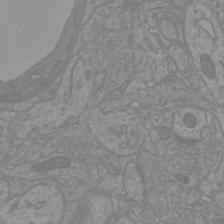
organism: Mouse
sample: Cortical neurons